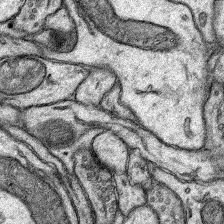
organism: Rat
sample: Hippocampus